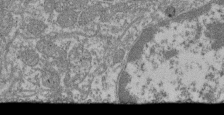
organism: Mouse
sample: Glomerulus